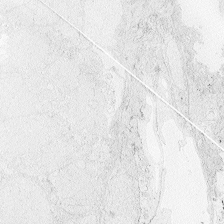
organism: Zebrafish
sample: Whole-Brain